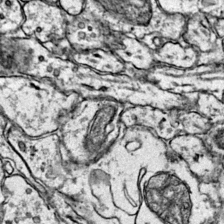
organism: Mouse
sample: Primary visual cortex